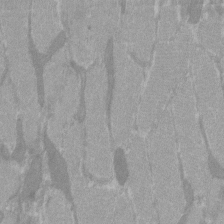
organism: C57BL Mouse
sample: Tibialis anterior muscle cell